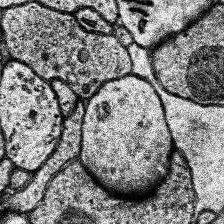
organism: Human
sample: Temporal Lobe